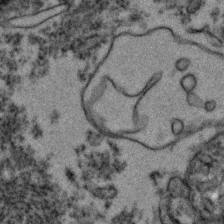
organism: Zebrafish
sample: Zebrafish embryo